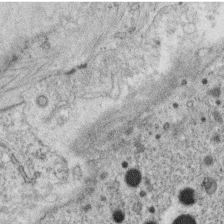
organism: C. elegans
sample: C. elegans oocyte; sperm cells